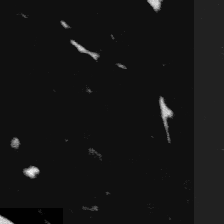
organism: Platynereis dumerilii